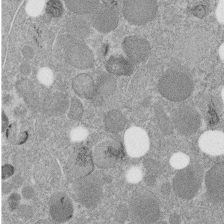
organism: C. elegans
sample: C. elegans embryo early stage